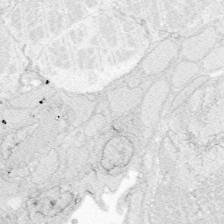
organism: Zebrafish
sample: Whole-Brain